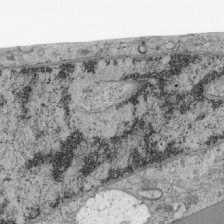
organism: Human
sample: HeLa cells